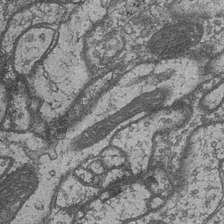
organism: Drosophila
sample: Optic medulla